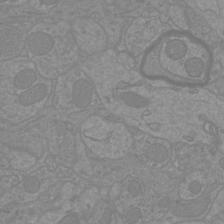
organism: Mouse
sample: Cortical neurons